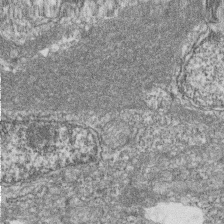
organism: Zebrafish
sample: Cilia; retinal pigment epithelium